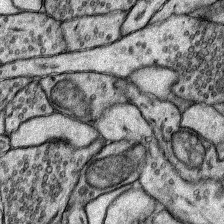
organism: Rat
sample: Hippocampus